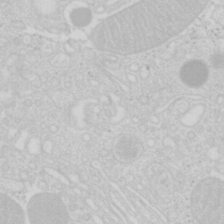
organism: Mouse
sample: Pancreas